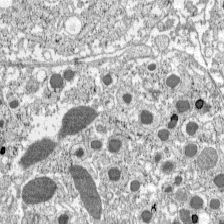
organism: C57BL Mouse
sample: Pancreatic islet